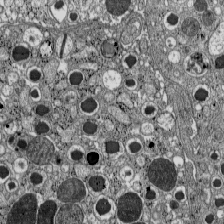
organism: C57BL Mouse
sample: Pancreatic islet